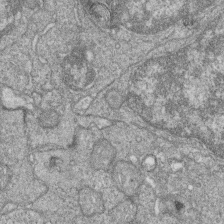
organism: Zebrafish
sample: Cilia; retinal pigment epithelium